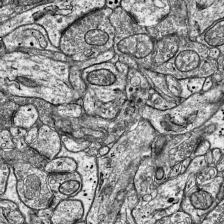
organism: Mouse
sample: Visual Cortex